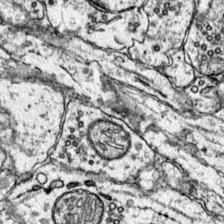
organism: Mouse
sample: Primary visual cortex